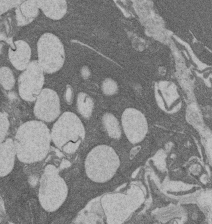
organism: Rat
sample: Salivary granule